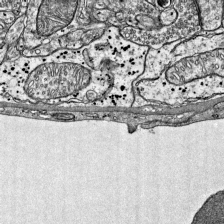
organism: Mouse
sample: Visual Cortex